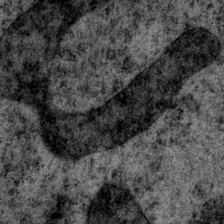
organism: P. pacificus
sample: Pharynx